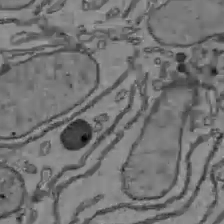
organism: C57BL Mouse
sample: Liver